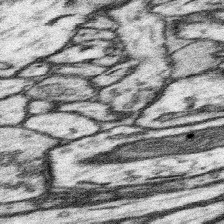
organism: Mouse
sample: Somatosensory cortex neuropil